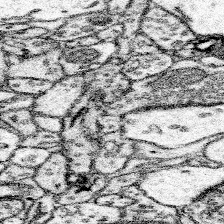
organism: Mouse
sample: Somatosensory cortex neuropil